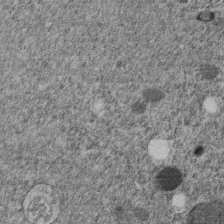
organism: C. elegans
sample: C. elegans embryo early stage